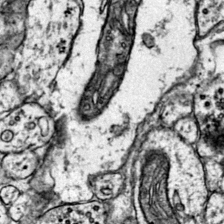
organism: Mouse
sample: Primary visual cortex